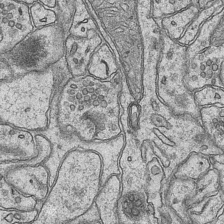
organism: Mouse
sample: CA1 Hippocampus